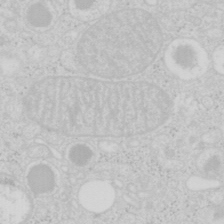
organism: Mouse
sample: Pancreas